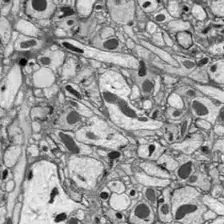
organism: Drosophila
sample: Optic lobe